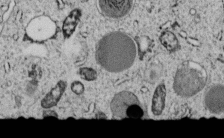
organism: C. elegans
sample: C. elegans embryo early stage